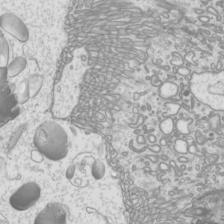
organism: Mouse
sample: Cilia; mouse epididymis